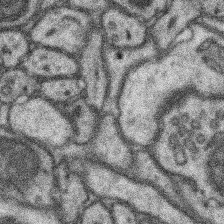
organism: Mouse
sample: Somatosensory cortex neuropil